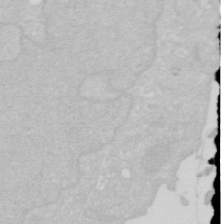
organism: Human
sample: HIV infected U937 cells